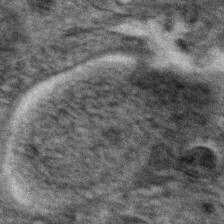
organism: Zebrafish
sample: Zebrafish embryo